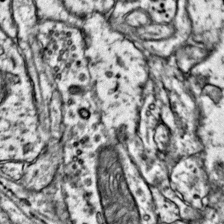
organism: Mouse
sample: Primary visual cortex